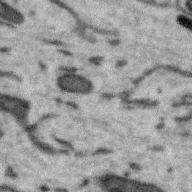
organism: Zebra finch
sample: Brain